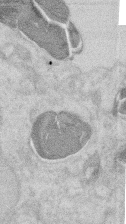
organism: Mouse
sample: T cell stromal cell synapse